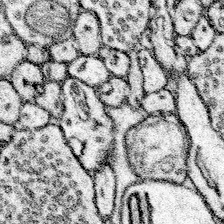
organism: Mouse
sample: Somatosensory cortex neuropil